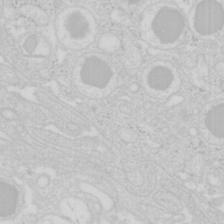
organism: Mouse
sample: Pancreas